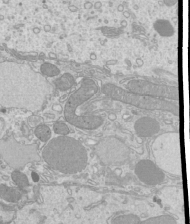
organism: Mouse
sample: Cilia; mouse epididymis